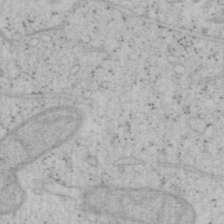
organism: Human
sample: HeLa cells